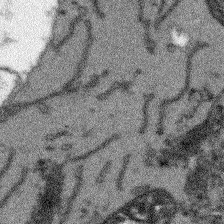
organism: Arabidopsis thaliana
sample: Root tip